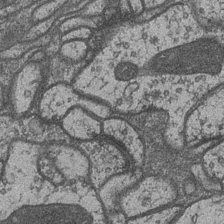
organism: Drosophila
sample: Optic medulla